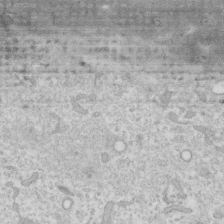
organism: Human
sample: Fibroblast cells